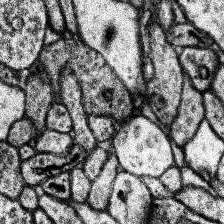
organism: Human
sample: Temporal Lobe